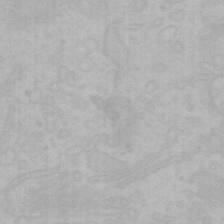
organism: Mouse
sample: Choroid plexus